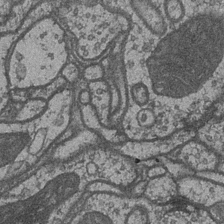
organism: Drosophila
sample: Optic medulla